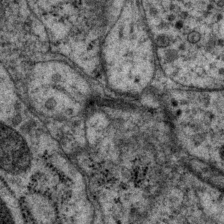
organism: P. pacificus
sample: Pharynx